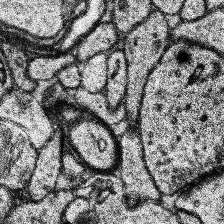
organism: Human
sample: Temporal Lobe